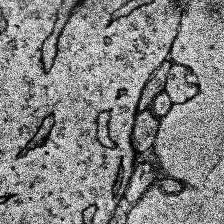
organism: Human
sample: Temporal Lobe